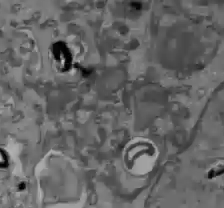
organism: C57BL Mouse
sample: Liver